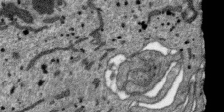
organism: Human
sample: Lung epithelial cells, uninfected (mock) control